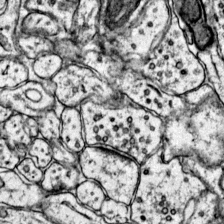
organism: Mouse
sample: Primary visual cortex